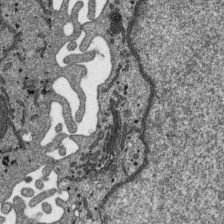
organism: Human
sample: Lung epithelial cells infected with SARS-CoV-2